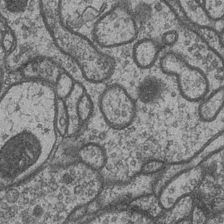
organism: Drosophila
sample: Optic medulla